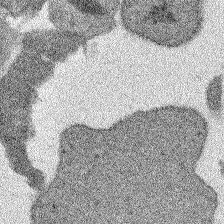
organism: Human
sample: HeLa cells